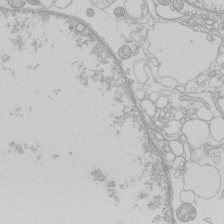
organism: Human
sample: Macrophage cells